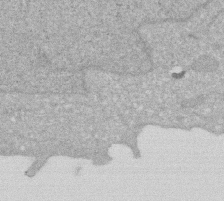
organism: Human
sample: HIV infected U937 cells